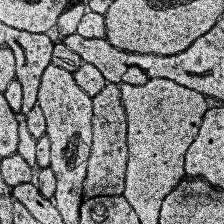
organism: Human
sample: Temporal Lobe